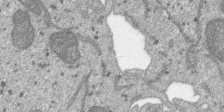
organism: Human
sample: Lung epithelial cells infected with SARS-CoV-2